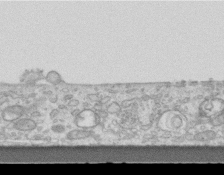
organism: Mouse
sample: Centriole in ependymal cells